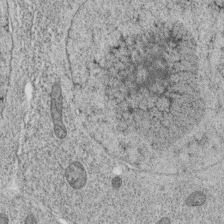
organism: C. elegans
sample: C. elegans oocyte; sperm cells